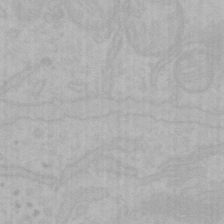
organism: Mouse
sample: Choroid plexus